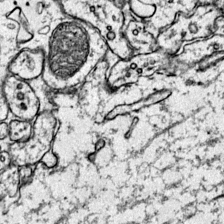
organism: Mouse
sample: Primary visual cortex